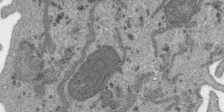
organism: Human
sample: Lung epithelial cells infected with SARS-CoV-2